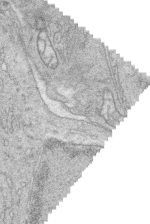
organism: Zebrafish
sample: synaptic ribbons in rod cells and cone cells